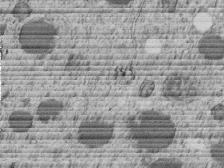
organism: C. elegans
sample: C. elegans embryo early stage